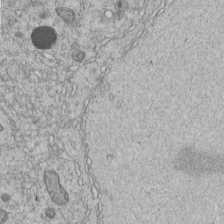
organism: C. elegans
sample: C. elegans embryo early stage